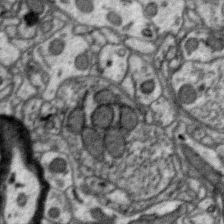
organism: Zebra finch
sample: Brain